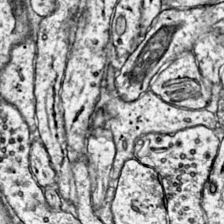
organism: Mouse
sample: Primary visual cortex